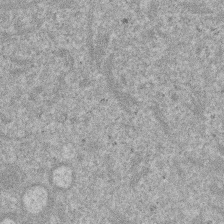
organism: Mouse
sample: Dividing mouse embryo 1 cell stage